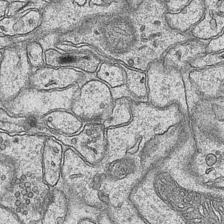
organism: Mouse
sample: CA1 Hippocampus